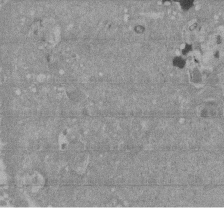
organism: Mouse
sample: ED-1 cell nuclei; centrioles